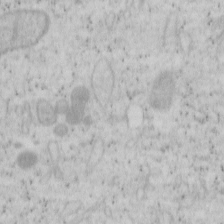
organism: Human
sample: HeLa cells